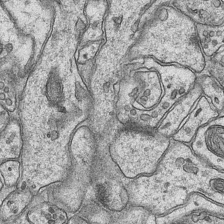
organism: Mouse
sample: CA1 Hippocampus